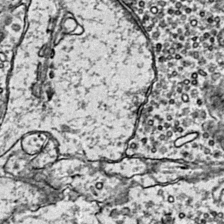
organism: Mouse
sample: Primary visual cortex